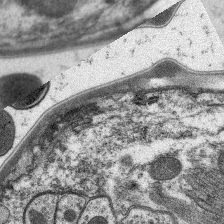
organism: C. elegans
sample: Pharynx